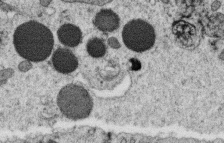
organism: C. elegans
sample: C. elegans oocyte; sperm cells